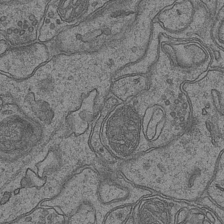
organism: Mouse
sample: CA1 Hippocampus